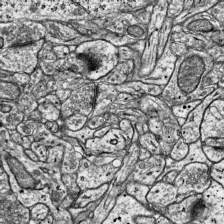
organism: Mouse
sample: Visual Cortex